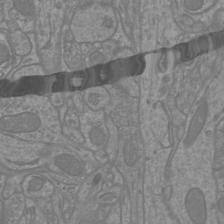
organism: Mouse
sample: Cortical neurons